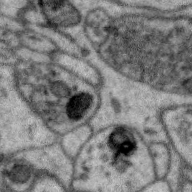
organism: Zebra finch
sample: Brain